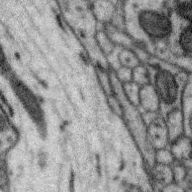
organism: Zebra finch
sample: Brain